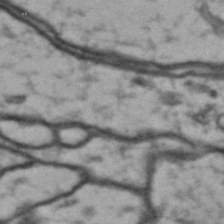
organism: Drosophila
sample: Brain